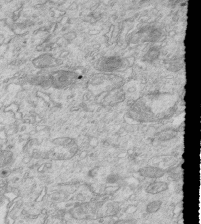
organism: Mouse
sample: Multiciliated cells